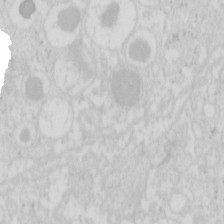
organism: Mouse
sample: Pancreas